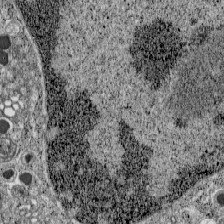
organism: C57BL Mouse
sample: Pancreatic islet